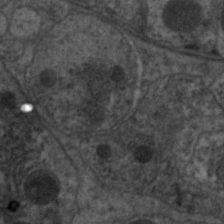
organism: C. elegans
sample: Pharynx